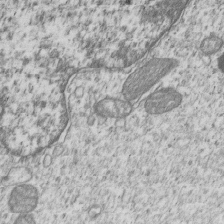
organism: Human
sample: MDA-MB-231 cells